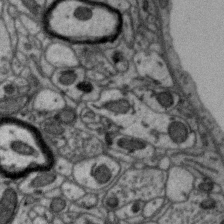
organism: Zebra finch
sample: Brain